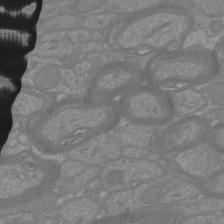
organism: Mouse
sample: Cortical neurons